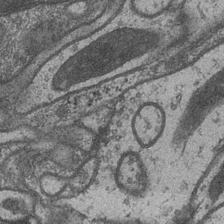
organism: Drosophila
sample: Optic medulla